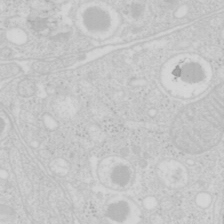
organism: Mouse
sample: Pancreas